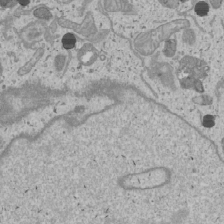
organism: Human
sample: Mitochondria in U2OS cells